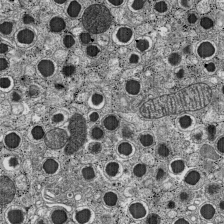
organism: C57BL Mouse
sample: Pancreatic islet